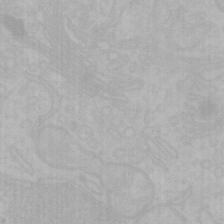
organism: Mouse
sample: Choroid plexus